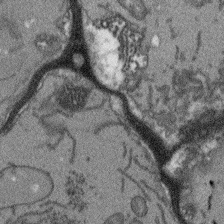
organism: Arabidopsis thaliana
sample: Root tip